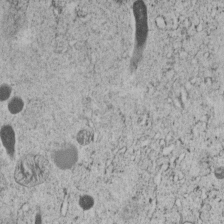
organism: C. elegans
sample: C. elegans embryo early stage